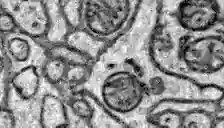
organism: Zebrafish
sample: Brain